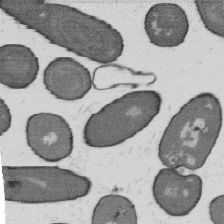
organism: B. subtilis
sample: Bacterial spore